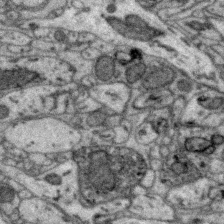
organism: Zebra finch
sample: Brain